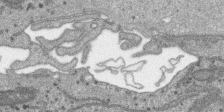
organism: Human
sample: Lung epithelial cells infected with SARS-CoV-2